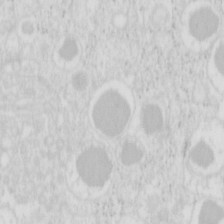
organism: Mouse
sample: Pancreas